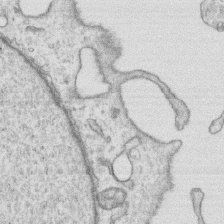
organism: Human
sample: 1205lu cells